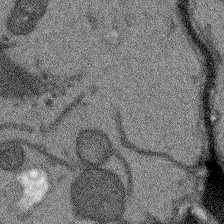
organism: Arabidopsis thaliana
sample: Root tip